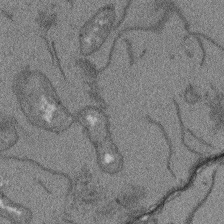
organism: Arabidopsis thaliana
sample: Root tip